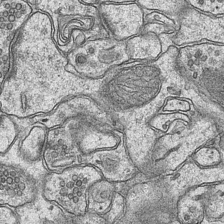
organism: Mouse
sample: CA1 Hippocampus